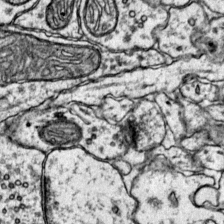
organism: Mouse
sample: Primary visual cortex